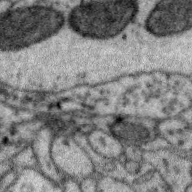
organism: Zebra finch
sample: Brain